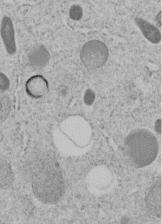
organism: C. elegans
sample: C. elegans embryo early stage